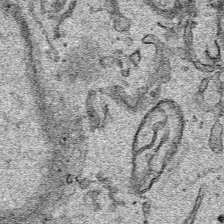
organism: Human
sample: Mitochondria in HCT116 cells